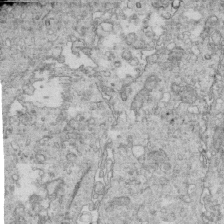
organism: Mouse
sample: Multiciliated cells